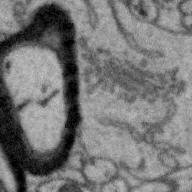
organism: Zebra finch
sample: Brain